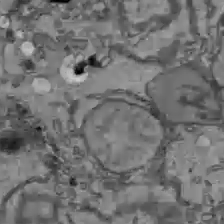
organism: C57BL Mouse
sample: Liver